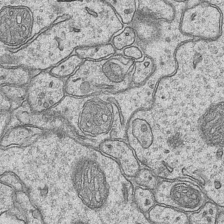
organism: Mouse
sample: CA1 Hippocampus